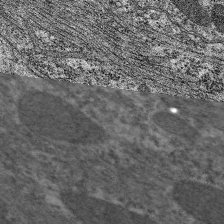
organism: C. elegans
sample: Pharynx